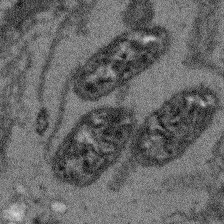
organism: Arabidopsis thaliana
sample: Root tip